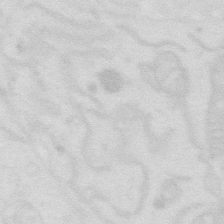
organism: Human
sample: HeLa cells